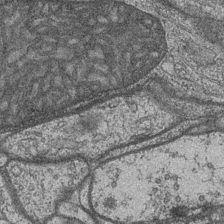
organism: Drosophila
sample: Optic medulla